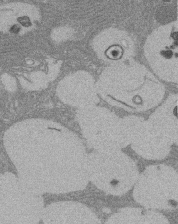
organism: Rat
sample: Salivary granule